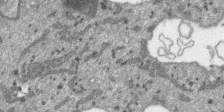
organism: Human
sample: Lung epithelial cells infected with SARS-CoV-2